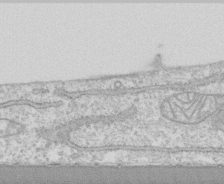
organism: Human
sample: CRL-1474